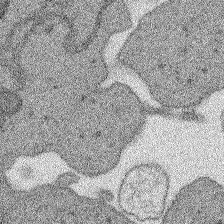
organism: Human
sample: HeLa cells